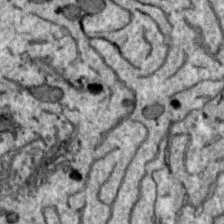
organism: Zebra finch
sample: Brain